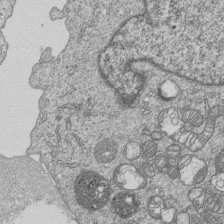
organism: Human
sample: MDA-MB-231 cells